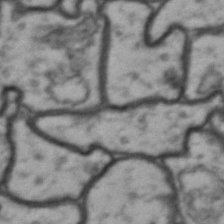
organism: Drosophila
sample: Brain